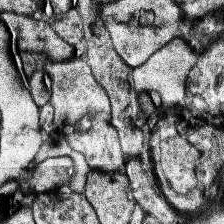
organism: Human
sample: Temporal Lobe